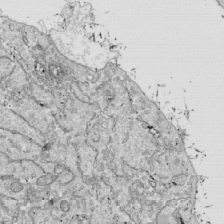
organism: Drosophila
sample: Cell division; meiosis; drosophila spermatocytes